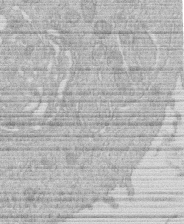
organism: Human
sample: Macrophage cells